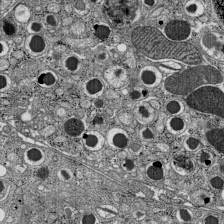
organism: C57BL Mouse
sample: Pancreatic islet